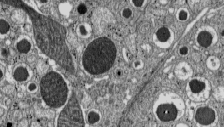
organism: C57BL Mouse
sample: Pancreatic islet